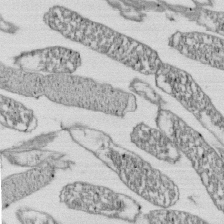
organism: E. coli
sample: Bacterial nucleoid